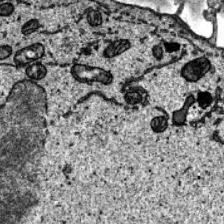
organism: Human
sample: HeLa cells